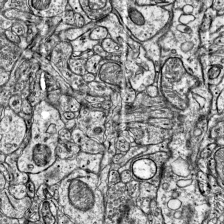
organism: Mouse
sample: Visual Cortex